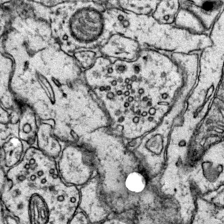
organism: Mouse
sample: Primary visual cortex